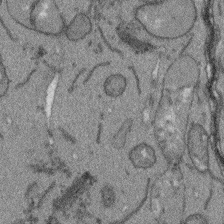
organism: Arabidopsis thaliana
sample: Root tip